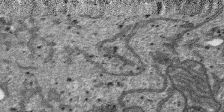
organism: Human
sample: Lung epithelial cells infected with SARS-CoV-2